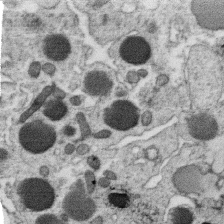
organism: C. elegans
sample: C. elegans oocyte; sperm cells